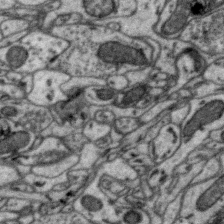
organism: Zebra finch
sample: Brain